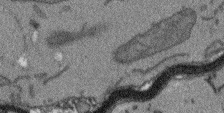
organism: Arabidopsis thaliana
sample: Root tip